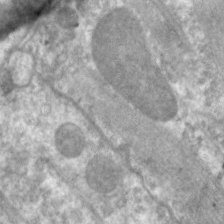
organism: C. elegans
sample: Pharynx